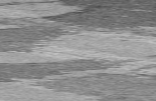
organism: C57BL Mouse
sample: Heart